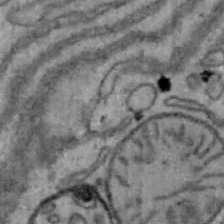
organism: Mouse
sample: Liver